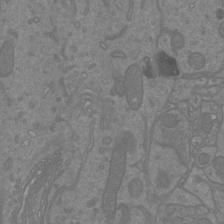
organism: Mouse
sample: Cortical neurons